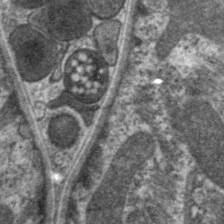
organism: C. elegans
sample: Pharynx